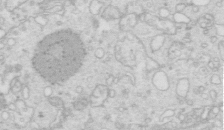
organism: Mouse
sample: Multiciliated cells